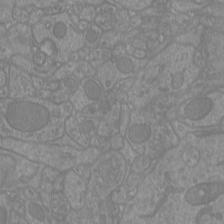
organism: Mouse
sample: Cortical neurons